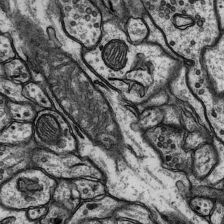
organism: Rat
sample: Hippocampus